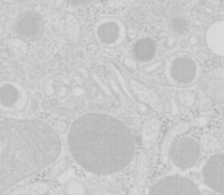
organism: Mouse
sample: Pancreas